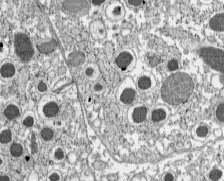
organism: C57BL Mouse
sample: Pancreatic islet